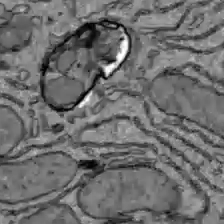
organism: C57BL Mouse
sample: Liver